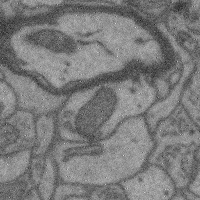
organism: Mouse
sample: Cerebral cortex